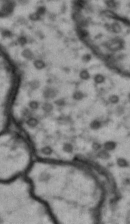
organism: Drosophila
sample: Brain